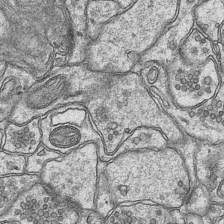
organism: Mouse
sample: CA1 Hippocampus